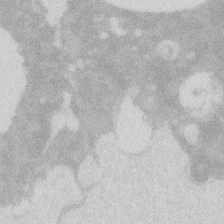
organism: Zebrafish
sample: Macrophage